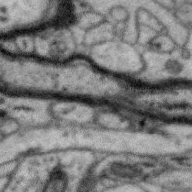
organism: Zebra finch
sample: Brain